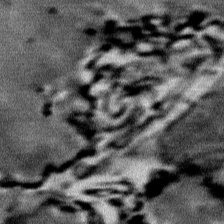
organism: Mouse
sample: Mouse Salivary gland